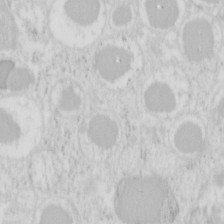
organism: Mouse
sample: Pancreas